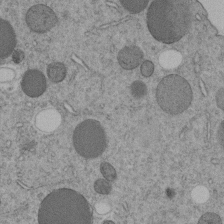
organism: C. elegans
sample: C. elegans embryo early stage